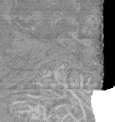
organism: Mouse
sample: Glomerulus